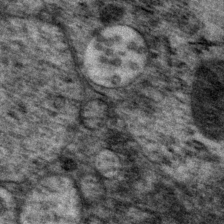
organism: P. pacificus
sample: Pharynx